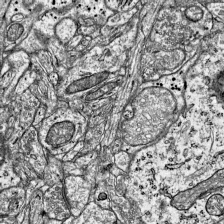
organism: Mouse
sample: Visual Cortex